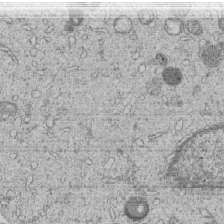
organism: Human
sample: MDA-MB-231 cells